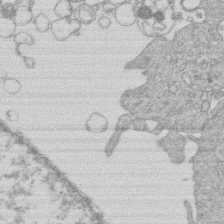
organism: Human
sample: Macrophage cells